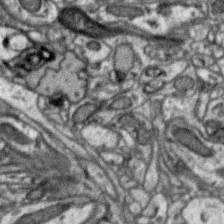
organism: Zebra finch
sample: Brain